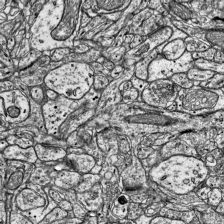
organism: Mouse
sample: Visual Cortex